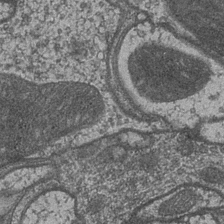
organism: Drosophila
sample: Optic medulla